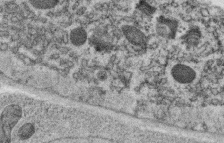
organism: C. elegans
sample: C. elegans oocyte; sperm cells